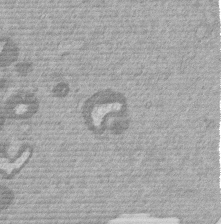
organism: Mouse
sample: Dividing mouse embryo 1 cell stage